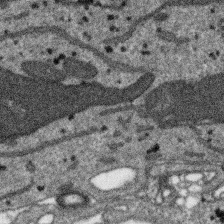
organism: Human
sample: Lung epithelial cells infected with SARS-CoV-2